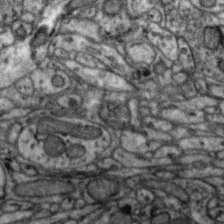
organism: Zebra finch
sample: Brain